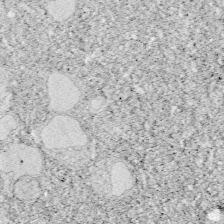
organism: Zebrafish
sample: Whole-Brain